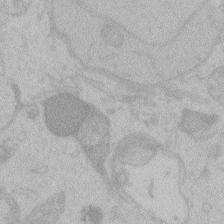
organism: Zebrafish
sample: Macrophage infected with Toxoplasma gondii